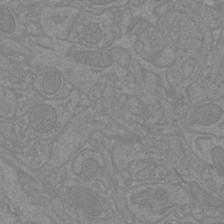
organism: Mouse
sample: Cortical neurons